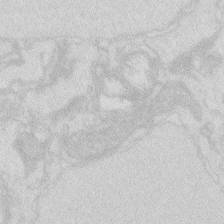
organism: Zebrafish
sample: Macrophage